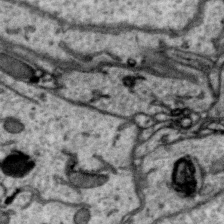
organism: Zebra finch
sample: Brain